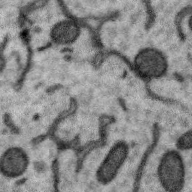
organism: Zebra finch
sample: Brain